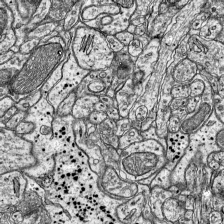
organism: Mouse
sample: Visual Cortex